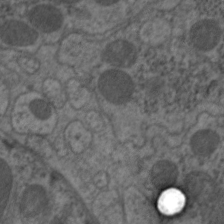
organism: C. elegans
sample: Pharynx